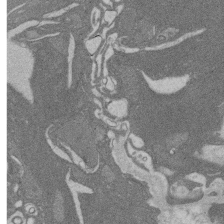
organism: Rat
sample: Salivary granule